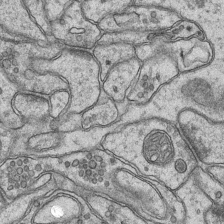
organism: Mouse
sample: CA1 Hippocampus